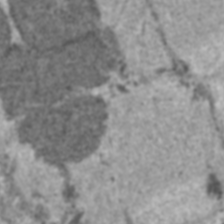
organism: C57BL Mouse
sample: Heart